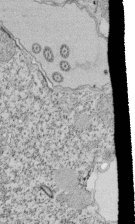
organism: Tetrahymena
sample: Cilia in tetrahymena